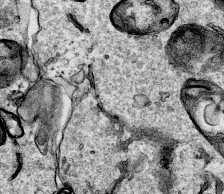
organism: Human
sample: Mitochondria in HCT116 cells